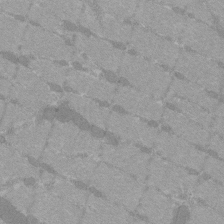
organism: C57BL Mouse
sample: Tibialis anterior muscle cell